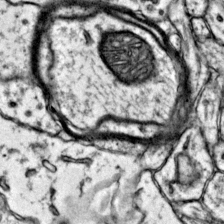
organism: Mouse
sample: Primary visual cortex